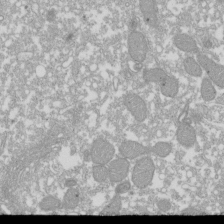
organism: Xenopus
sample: Cilia; centrioles in frog embryo cells